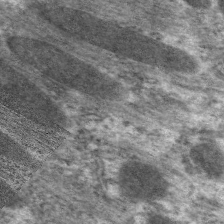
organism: C. elegans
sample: Pharynx